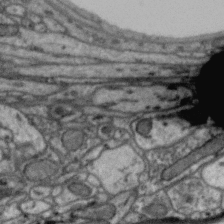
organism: Zebra finch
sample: Brain